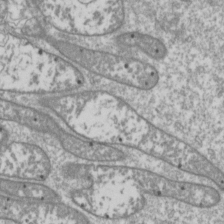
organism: Drosophila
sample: Cell division; meiosis; drosophila spermatocytes